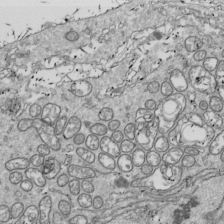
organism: Drosophila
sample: Cell division; meiosis; drosophila spermatocytes